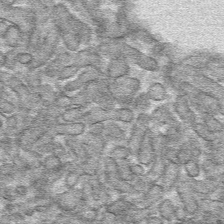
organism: Mouse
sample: Mouse hepatocytes